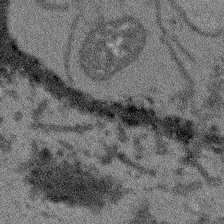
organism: Arabidopsis thaliana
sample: Root tip